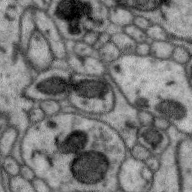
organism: Zebra finch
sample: Brain